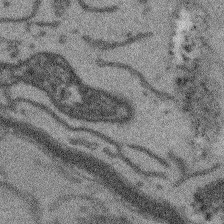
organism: Arabidopsis thaliana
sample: Root tip